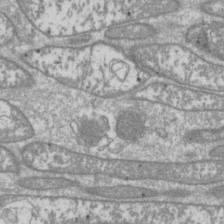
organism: Drosophila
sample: Cell division; meiosis; drosophila spermatocytes